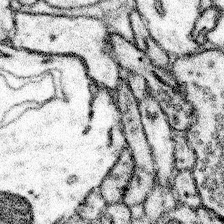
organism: Mouse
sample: Somatosensory cortex neuropil